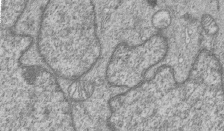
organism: Human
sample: MDA-MB-231 cells